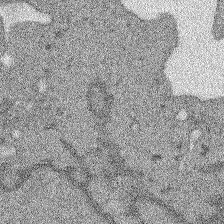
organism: Human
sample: HeLa cells